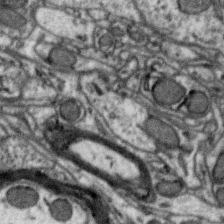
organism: Zebra finch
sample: Brain